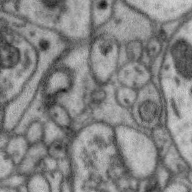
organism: Zebra finch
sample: Brain